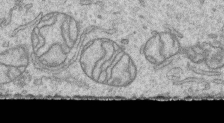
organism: Human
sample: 1205lu cells